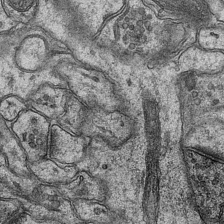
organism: Mouse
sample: CA1 Hippocampus